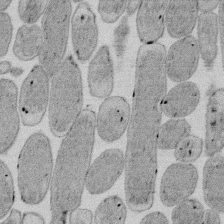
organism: E. coli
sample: Bacterial nucleoid